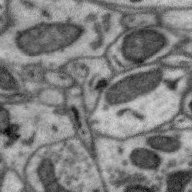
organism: Zebra finch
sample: Brain